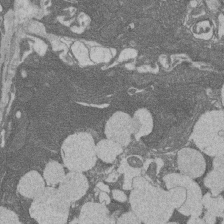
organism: Rat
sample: Salivary granule